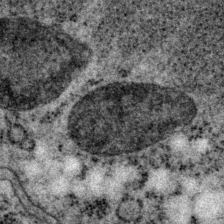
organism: P. pacificus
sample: Pharynx